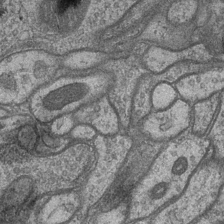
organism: Drosophila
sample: Optic medulla